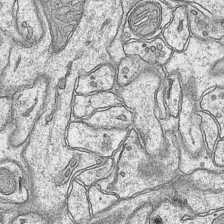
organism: Mouse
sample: CA1 Hippocampus